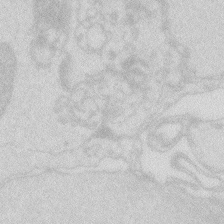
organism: Zebrafish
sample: Macrophage